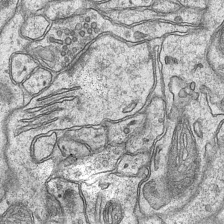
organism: Mouse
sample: CA1 Hippocampus